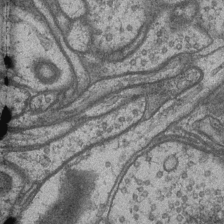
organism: Drosophila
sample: Optic medulla